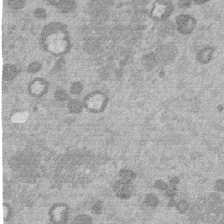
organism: Mouse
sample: Dividing mouse embryo 1 cell stage